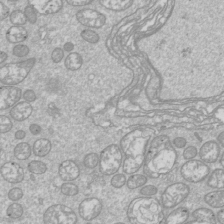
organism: Drosophila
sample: Cell division; meiosis; drosophila spermatocytes